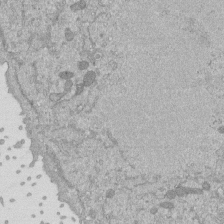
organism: Mouse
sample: ED-1 cell nuclei; centrioles